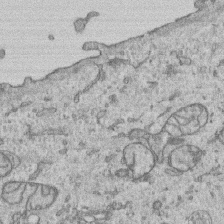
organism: Human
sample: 1205lu cells